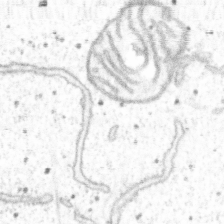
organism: Human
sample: HeLa cells